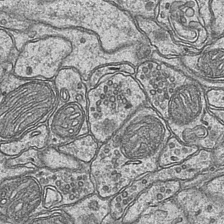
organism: Mouse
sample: CA1 Hippocampus